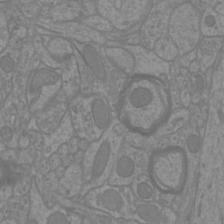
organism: Mouse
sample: Cortical neurons